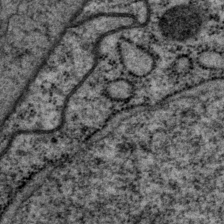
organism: P. pacificus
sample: Pharynx